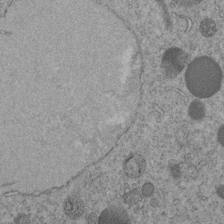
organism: C. elegans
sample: C. elegans embryo early stage